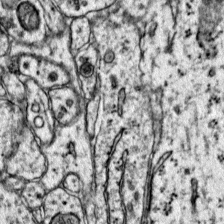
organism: Mouse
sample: Primary visual cortex